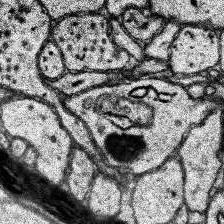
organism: Human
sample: Temporal Lobe